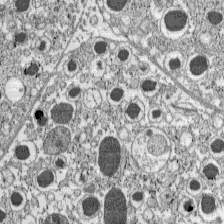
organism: C57BL Mouse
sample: Pancreatic islet